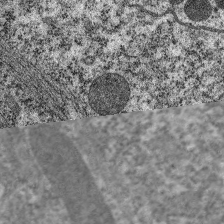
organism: C. elegans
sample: Pharynx